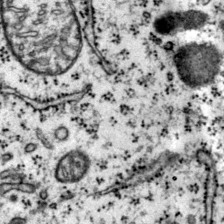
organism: Mouse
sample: Primary visual cortex